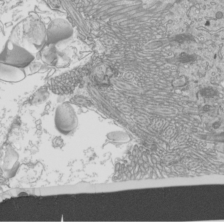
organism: Mouse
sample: Cilia; mouse epididymis